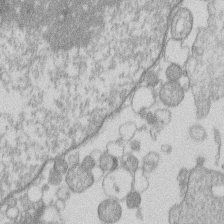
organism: Human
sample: Macrophage cells